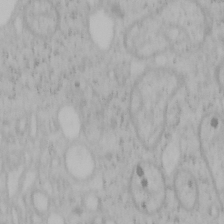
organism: Mouse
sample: OT-I killer T cells with ID8 ovarian cancer cells